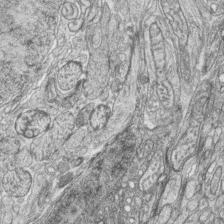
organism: Zebrafish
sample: synaptic ribbons in rod cells and cone cells